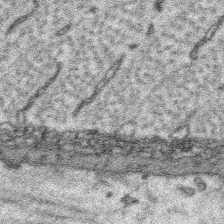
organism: Platynereis dumerilii